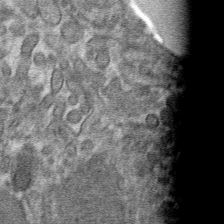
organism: Mouse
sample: Mouse hepatocytes